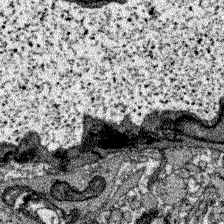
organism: Zebrafish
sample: Larval olfactory bulb